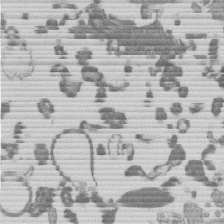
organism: Mouse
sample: Dividing mouse embryo 1 cell stage